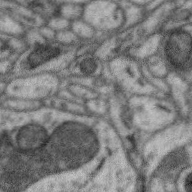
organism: Zebra finch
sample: Brain